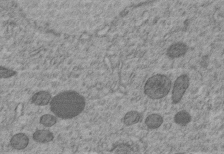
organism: C. elegans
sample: C. elegans embryo early stage